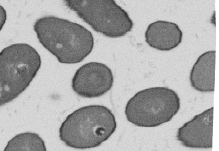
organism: B. subtilis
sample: Bacterial spore